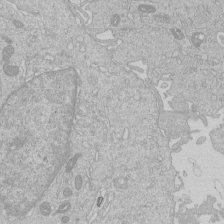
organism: Human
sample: Macrophage cells